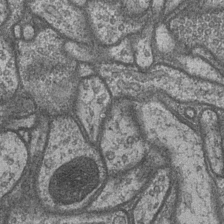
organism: Drosophila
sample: Optic medulla